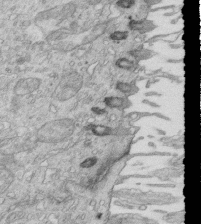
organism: Mouse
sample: Multiciliated cells